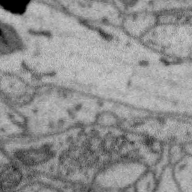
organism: Zebra finch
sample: Brain